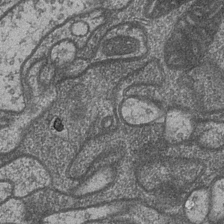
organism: Drosophila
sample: Optic medulla